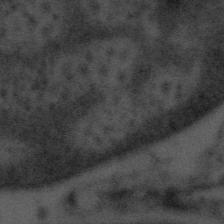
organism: Tuwongella immobilis